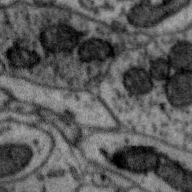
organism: Zebra finch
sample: Brain